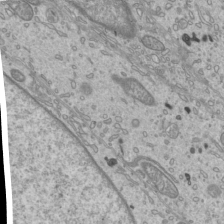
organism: Mouse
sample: Cilia; mouse epididymis